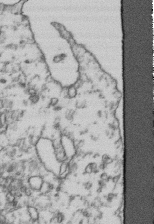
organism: Human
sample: Activated Jurkat CD4+ T cells